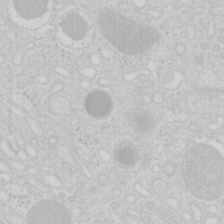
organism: Mouse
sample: Pancreas